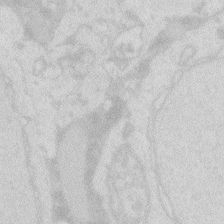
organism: Zebrafish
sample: Macrophage